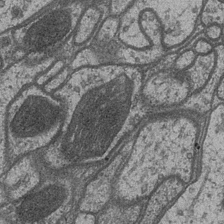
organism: Drosophila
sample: Optic medulla